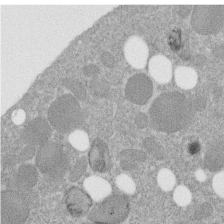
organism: C. elegans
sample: C. elegans embryo early stage